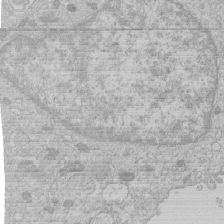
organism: Human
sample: Macrophage cells